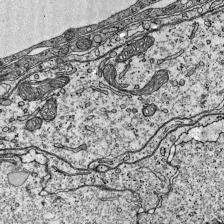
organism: Mouse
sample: Visual Cortex